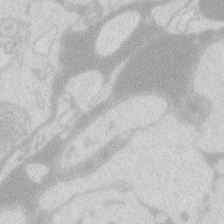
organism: Zebrafish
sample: Macrophage